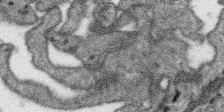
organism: Human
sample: Lung epithelial cells infected with SARS-CoV-2